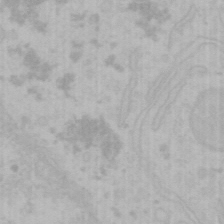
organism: Mouse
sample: Choroid plexus